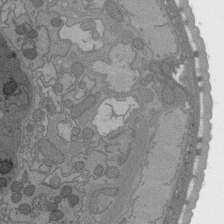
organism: C. elegans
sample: AFD neurons C. elegans